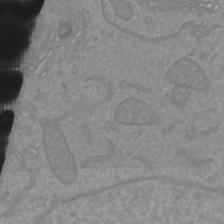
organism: Mouse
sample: Cortical neurons